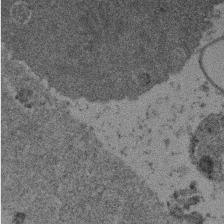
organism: Mouse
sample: Dividing mouse embryo 1 cell stage